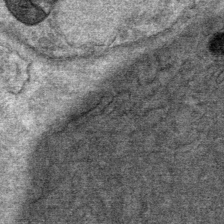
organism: Mouse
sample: Mouse Salivary gland